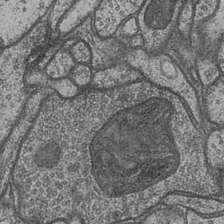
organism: Drosophila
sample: Optic medulla